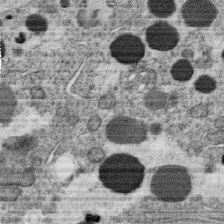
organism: C. elegans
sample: C. elegans oocyte; sperm cells